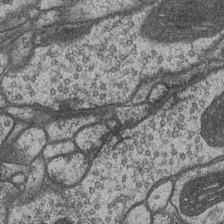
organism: Drosophila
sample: Optic medulla